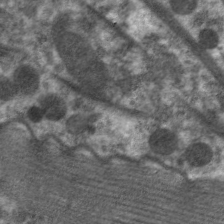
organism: C. elegans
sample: Pharynx